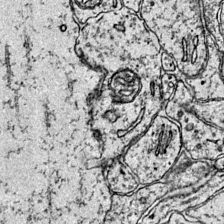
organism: Mouse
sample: Primary visual cortex